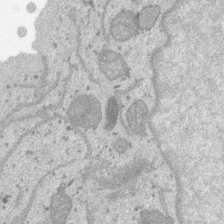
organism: Human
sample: Lung epithelial cells infected with SARS-CoV-2